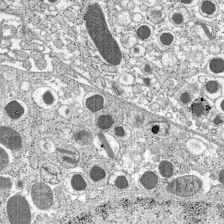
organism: C57BL Mouse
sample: Pancreatic islet